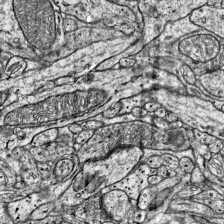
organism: Mouse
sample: Visual Cortex